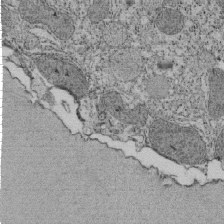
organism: Tetrahymena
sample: Cilia in tetrahymena